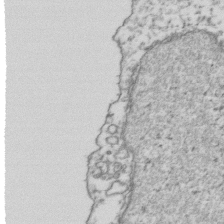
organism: Human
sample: Activated Jurkat CD4+ T cells